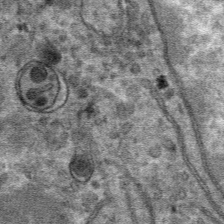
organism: Mouse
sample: Mouse hepatocytes